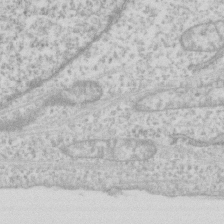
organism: Human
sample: Fibroblast cells